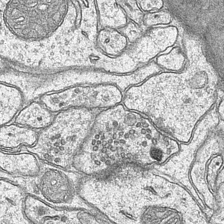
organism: Mouse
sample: CA1 Hippocampus